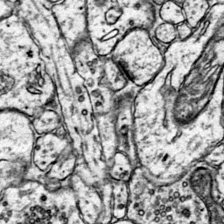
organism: Mouse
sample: Primary visual cortex